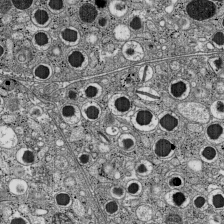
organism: C57BL Mouse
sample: Pancreatic islet